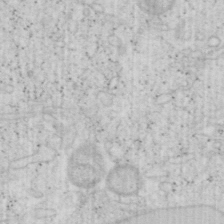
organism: Human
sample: HeLa cells